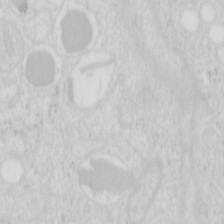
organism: Mouse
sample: Pancreas